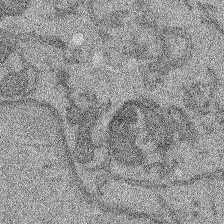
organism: Human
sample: HeLa cells